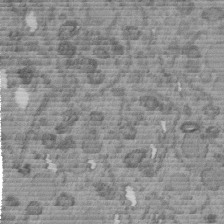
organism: C. elegans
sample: C. elegans embryo early stage